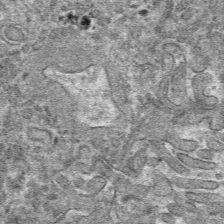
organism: Mouse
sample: Mouse hepatocytes